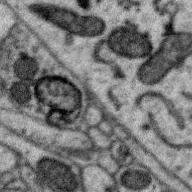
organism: Zebra finch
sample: Brain